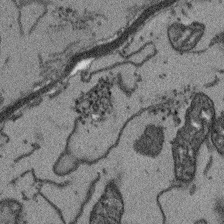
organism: Arabidopsis thaliana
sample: Root tip